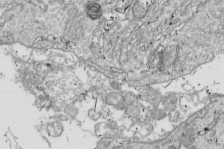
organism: Drosophila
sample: Cell division; meiosis; drosophila spermatocytes